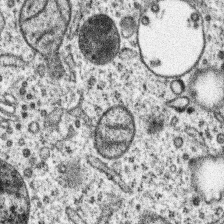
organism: Human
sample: HeLa cells